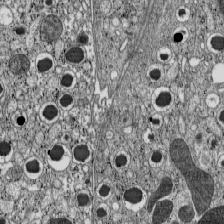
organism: C57BL Mouse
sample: Pancreatic islet